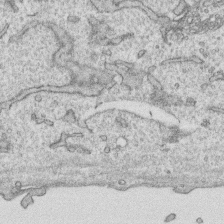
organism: Human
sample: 1205lu cells